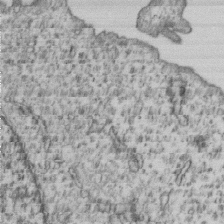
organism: Human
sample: MDA-MB-231 cells